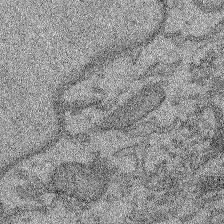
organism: Human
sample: HeLa cells